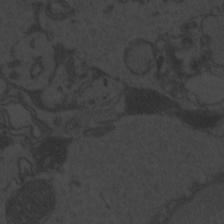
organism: Zebrafish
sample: Macrophage infected with Toxoplasma gondii